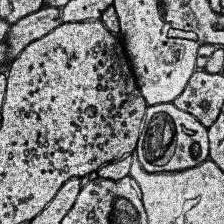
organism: Human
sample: Temporal Lobe